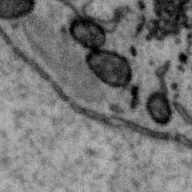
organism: Zebra finch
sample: Brain